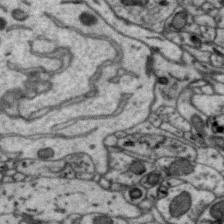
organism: Zebra finch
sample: Brain